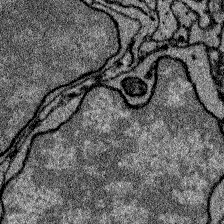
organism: Zebrafish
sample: Larval olfactory bulb